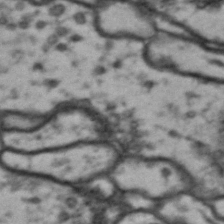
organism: Drosophila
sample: Brain